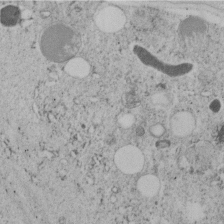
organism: C. elegans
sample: C. elegans embryo early stage